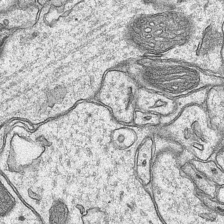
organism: Mouse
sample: CA1 Hippocampus